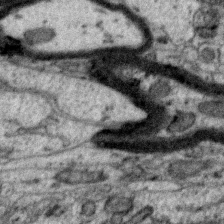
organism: Zebra finch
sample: Brain